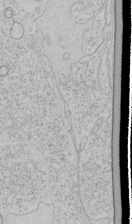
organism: Human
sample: Mitochondria in HCT116 cells